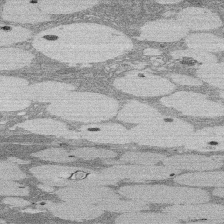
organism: Rat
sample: Salivary granule